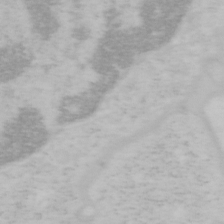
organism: Mouse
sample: OT-I killer T cells with ID8 ovarian cancer cells